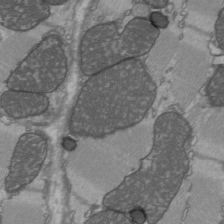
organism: C57BL Mouse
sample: Heart